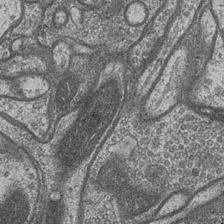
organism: Drosophila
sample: Optic medulla